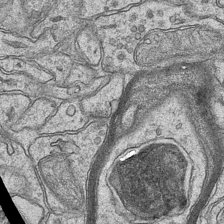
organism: Mouse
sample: CA1 Hippocampus